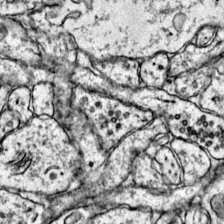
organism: Mouse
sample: Primary visual cortex